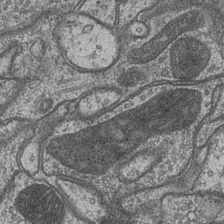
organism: Drosophila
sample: Optic medulla